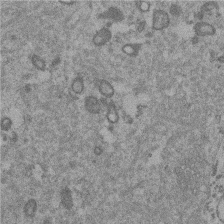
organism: Mouse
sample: Dividing mouse embryo 1 cell stage